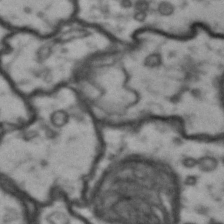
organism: Drosophila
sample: Brain